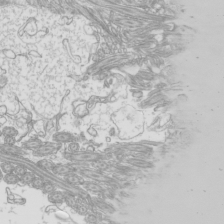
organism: Mouse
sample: Cilia; mouse epididymis